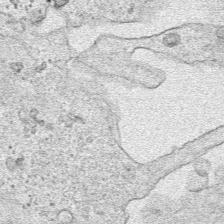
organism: Human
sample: Mitochondria in HCT116 cells